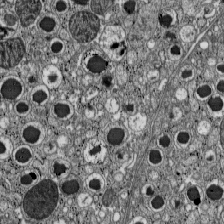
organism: C57BL Mouse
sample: Pancreatic islet